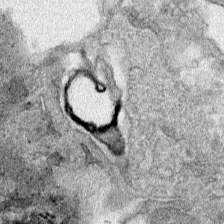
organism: Human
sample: Mitochondria in HCT116 cells